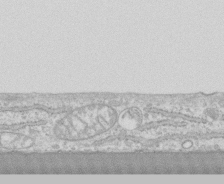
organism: Human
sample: CRL-1474